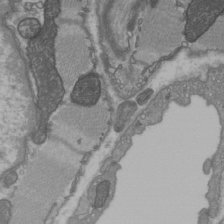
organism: C57BL Mouse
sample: Heart